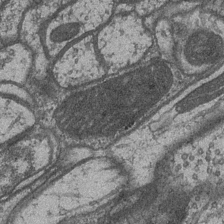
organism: Drosophila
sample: Optic medulla